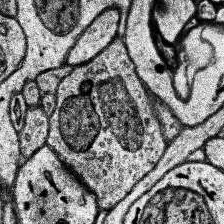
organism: Human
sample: Temporal Lobe